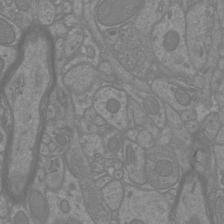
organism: Mouse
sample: Cortical neurons